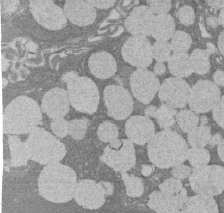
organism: Rat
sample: Salivary granule